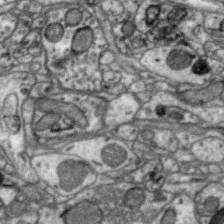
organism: Zebra finch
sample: Brain